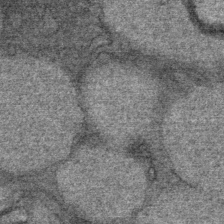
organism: Mouse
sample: Mouse Salivary gland